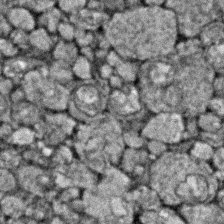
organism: Zebrafish